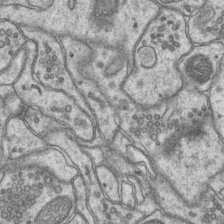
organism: Mouse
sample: CA1 Hippocampus